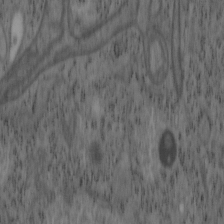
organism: Human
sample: HeLa cells